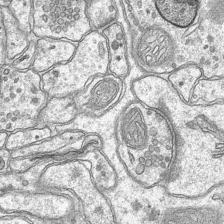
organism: Mouse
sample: CA1 Hippocampus